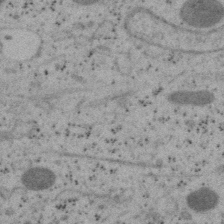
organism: Human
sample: HeLa cells